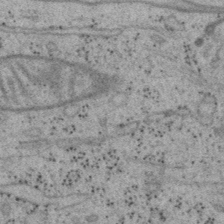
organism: Human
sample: HeLa cells